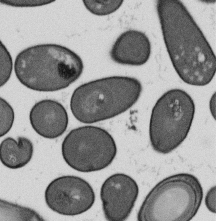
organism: B. subtilis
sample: Bacterial spore